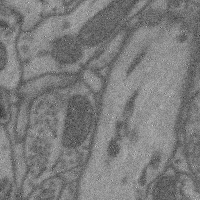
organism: Mouse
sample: Cerebral cortex